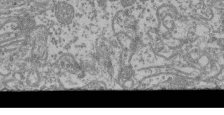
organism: Mouse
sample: Glomerulus